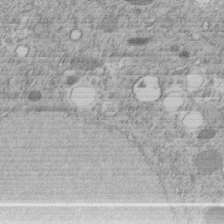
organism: C. elegans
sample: C. elegans embryo early stage